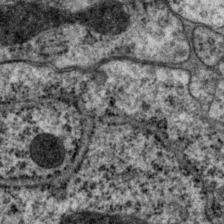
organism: P. pacificus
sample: Pharynx